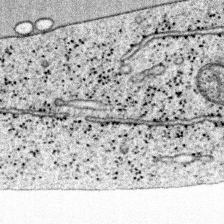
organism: Human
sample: HeLa cells